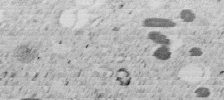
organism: C. elegans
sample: C. elegans embryo early stage